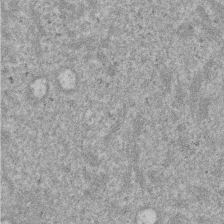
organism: Mouse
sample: Dividing mouse embryo 1 cell stage